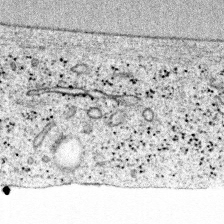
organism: Human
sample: HeLa cells